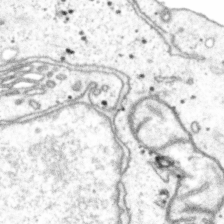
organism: Human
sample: HeLa cells